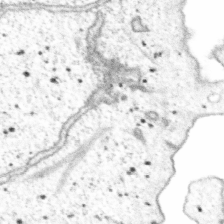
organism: Human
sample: HeLa cells